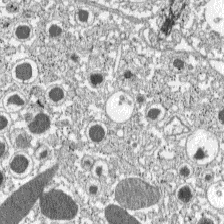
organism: C57BL Mouse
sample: Pancreatic islet